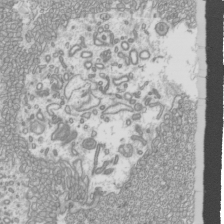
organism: Mouse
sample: Cilia; mouse epididymis